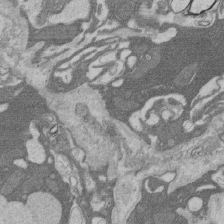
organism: Rat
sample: Salivary granule